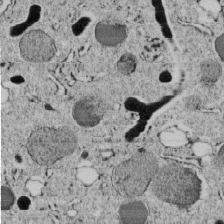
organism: C. elegans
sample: C. elegans embryo early stage